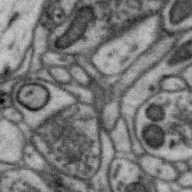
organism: Zebra finch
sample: Brain